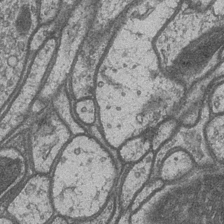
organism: Drosophila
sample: Optic medulla